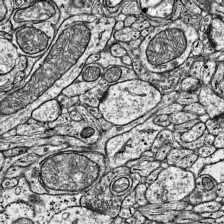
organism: Mouse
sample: Visual Cortex